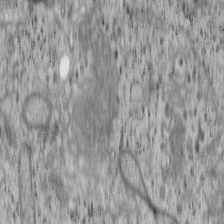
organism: Human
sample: HeLa cells